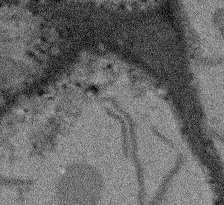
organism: Arabidopsis thaliana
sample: Root tip